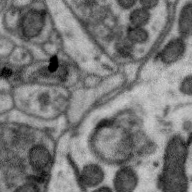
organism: Zebra finch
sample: Brain